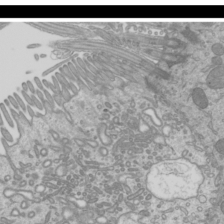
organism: Mouse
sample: Cilia; mouse epididymis